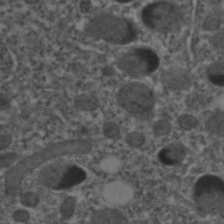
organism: C. elegans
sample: C. elegans embryo